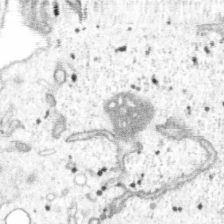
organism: Human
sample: HeLa cells